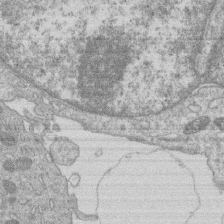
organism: Human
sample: Macrophage cells